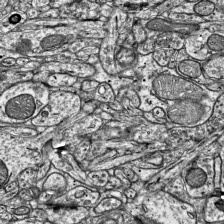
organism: Mouse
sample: Visual Cortex